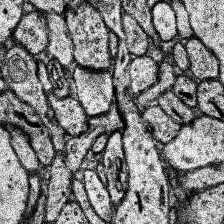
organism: Human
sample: Temporal Lobe